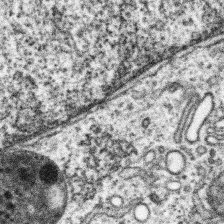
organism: Human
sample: HeLa cells